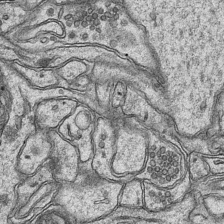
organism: Mouse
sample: CA1 Hippocampus